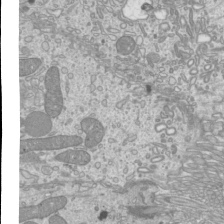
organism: Mouse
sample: Cilia; mouse epididymis